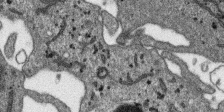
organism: Human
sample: Lung epithelial cells infected with SARS-CoV-2